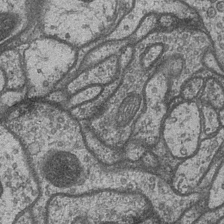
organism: Drosophila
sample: Optic medulla